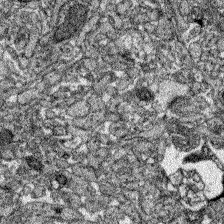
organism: Zebrafish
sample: Larval olfactory bulb